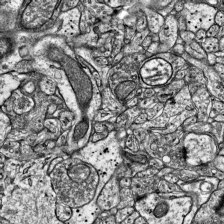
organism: Mouse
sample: Visual Cortex